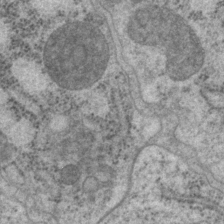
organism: P. pacificus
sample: Pharynx